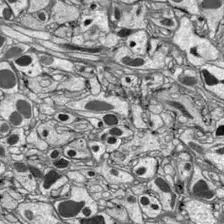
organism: Drosophila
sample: Optic lobe